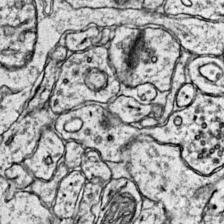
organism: Mouse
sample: Primary visual cortex